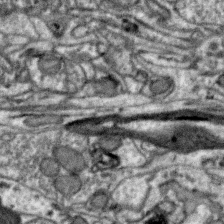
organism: Zebra finch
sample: Brain